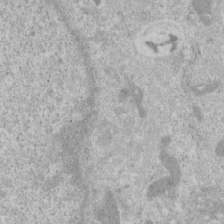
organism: Human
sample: Centriole in RPE cells